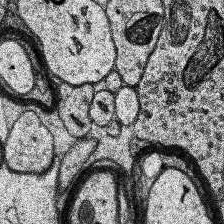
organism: Human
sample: Temporal Lobe